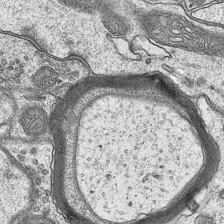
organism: Mouse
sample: CA1 Hippocampus